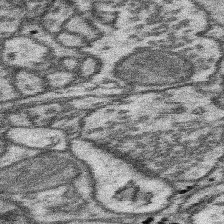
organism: Mouse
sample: Somatosensory cortex neuropil